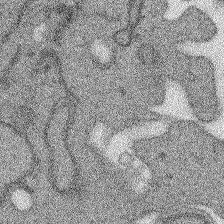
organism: Human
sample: HeLa cells